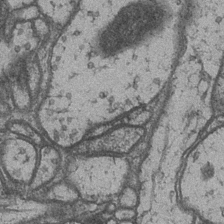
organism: Drosophila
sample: Optic medulla